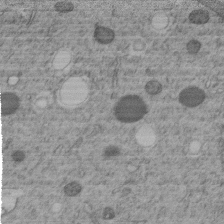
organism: C. elegans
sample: C. elegans embryo early stage